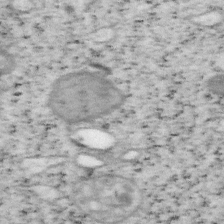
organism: Mouse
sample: OT-I killer T cells with ID8 ovarian cancer cells